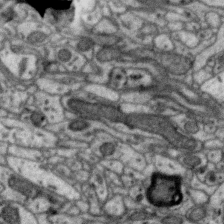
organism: Zebra finch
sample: Brain